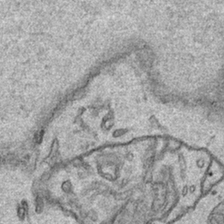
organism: Human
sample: Mitochondria in HCT116 cells